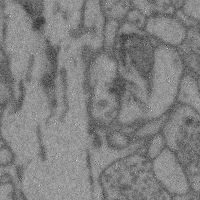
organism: Mouse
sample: Cerebral cortex